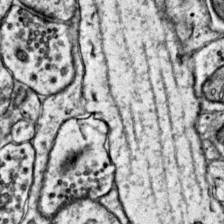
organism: Mouse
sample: Primary visual cortex